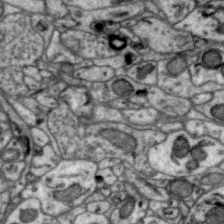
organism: Zebra finch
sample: Brain